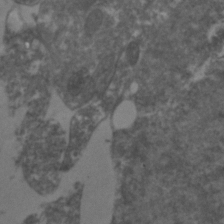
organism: Zebrafish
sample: Zebrafish embryo